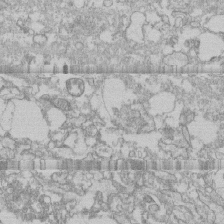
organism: Human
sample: CRL-1474